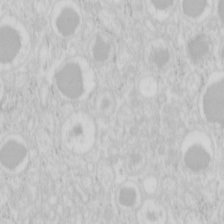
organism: Mouse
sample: Pancreas